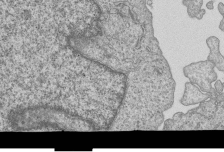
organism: Human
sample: MDA-MB-231 cells